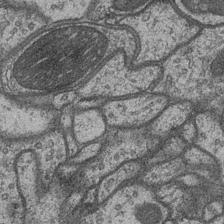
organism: Drosophila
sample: Optic medulla